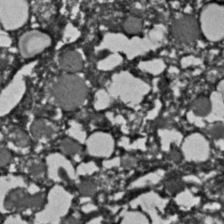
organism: C. elegans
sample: C. elegans embryo